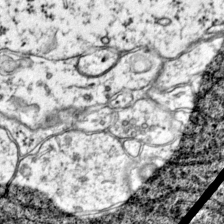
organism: Mouse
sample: Primary visual cortex